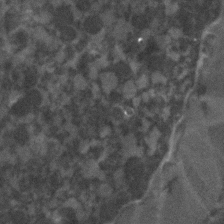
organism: C. elegans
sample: C. elegans embryo